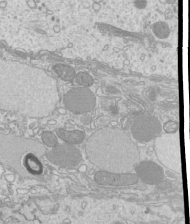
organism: Mouse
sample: Cilia; mouse epididymis